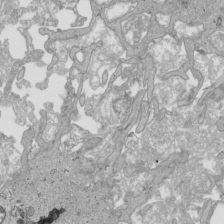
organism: Human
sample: Mitochondria in HCT116 cells